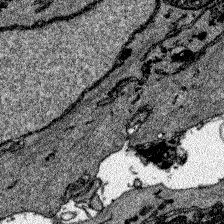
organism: Zebrafish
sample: Larval olfactory bulb